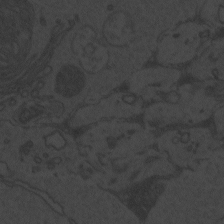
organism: Zebrafish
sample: Macrophage infected with Toxoplasma gondii